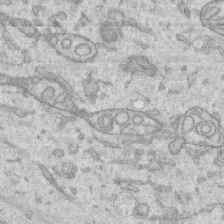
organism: Human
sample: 1205lu cells